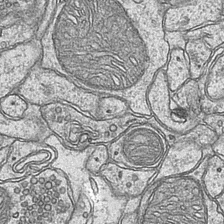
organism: Mouse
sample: CA1 Hippocampus